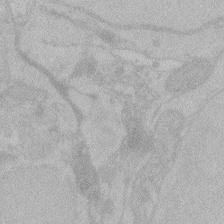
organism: Zebrafish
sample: Macrophage infected with Toxoplasma gondii